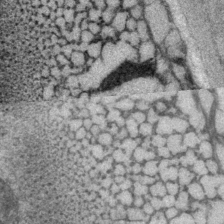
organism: P. pacificus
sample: Pharynx